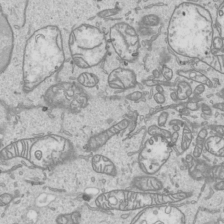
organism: Human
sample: Mitochondria in HCT116 cells